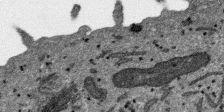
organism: Human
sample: Lung epithelial cells, uninfected (mock) control